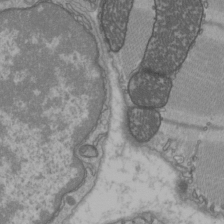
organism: C57BL Mouse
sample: Heart